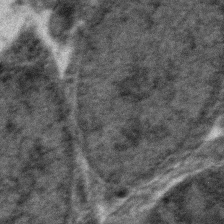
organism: Zebrafish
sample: Zebrafish embryo